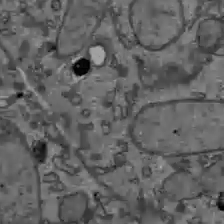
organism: C57BL Mouse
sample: Liver